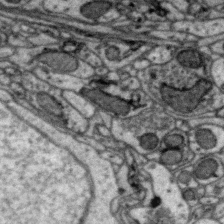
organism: Zebra finch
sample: Brain